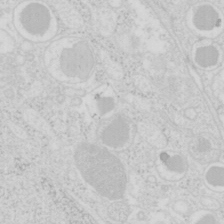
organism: Mouse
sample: Pancreas